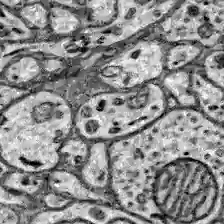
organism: Zebrafish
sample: Brain